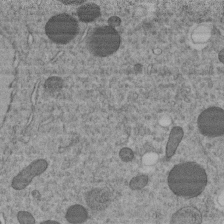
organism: C. elegans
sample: C. elegans embryo early stage